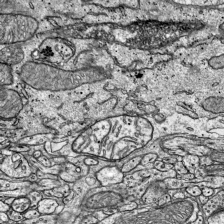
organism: Mouse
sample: Visual Cortex